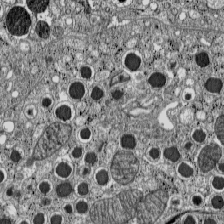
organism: C57BL Mouse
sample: Pancreatic islet